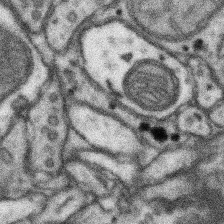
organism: Mouse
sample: Somatosensory cortex neuropil